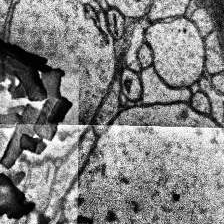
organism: Human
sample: Temporal Lobe